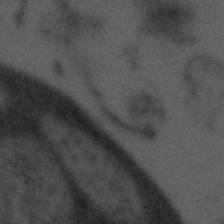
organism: Tuwongella immobilis